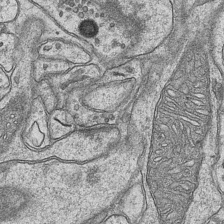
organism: Mouse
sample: CA1 Hippocampus